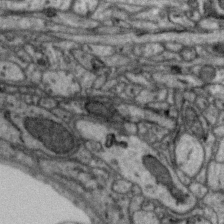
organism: Zebra finch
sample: Brain